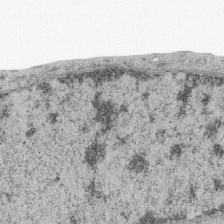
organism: Human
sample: HeLa cells